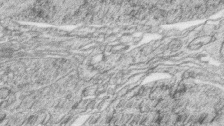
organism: Zebrafish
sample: synaptic ribbons in rod cells and cone cells